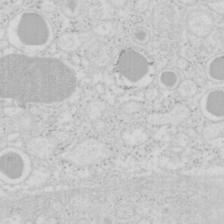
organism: Mouse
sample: Pancreas